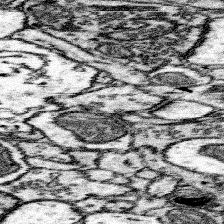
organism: Mouse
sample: Somatosensory cortex neuropil